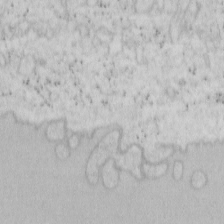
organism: Human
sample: HeLa cells